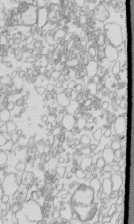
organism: Mouse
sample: Macrophages